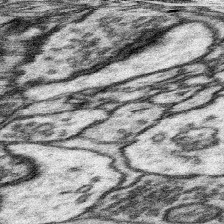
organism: Mouse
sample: Somatosensory cortex neuropil